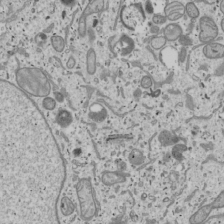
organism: Human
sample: Mitochondria in U2OS cells